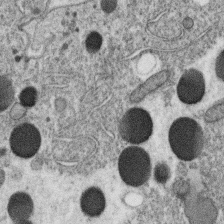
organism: C. elegans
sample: C. elegans oocyte; sperm cells